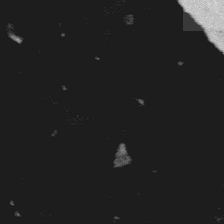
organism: Platynereis dumerilii